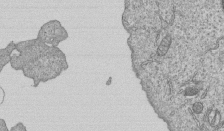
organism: Human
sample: MDA-MB-231 cells